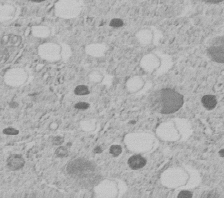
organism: C. elegans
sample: C. elegans embryo early stage